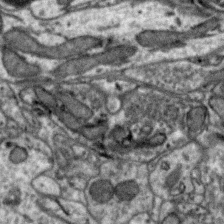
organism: Zebra finch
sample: Brain